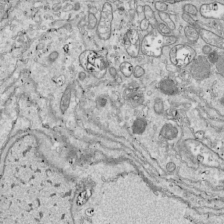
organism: Drosophila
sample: Cell division; meiosis; drosophila spermatocytes